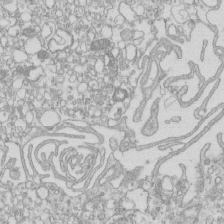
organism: Mouse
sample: Macrophages